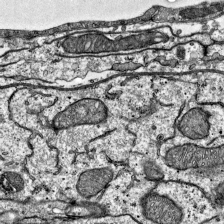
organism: Mouse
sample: Visual Cortex